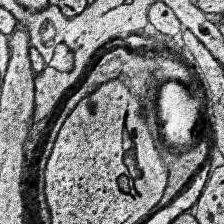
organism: Human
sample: Temporal Lobe